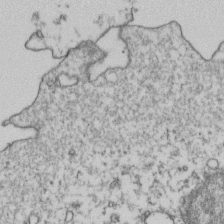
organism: Human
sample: Activated Jurkat CD4+ T cells